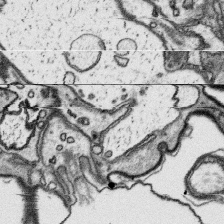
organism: Platynereis dumerilii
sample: Parapodia